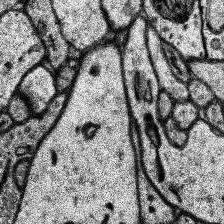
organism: Human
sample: Temporal Lobe